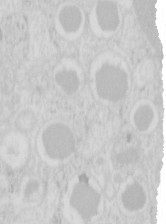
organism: Mouse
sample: Pancreas